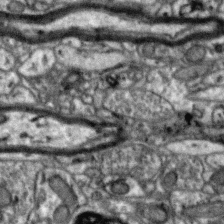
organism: Zebra finch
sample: Brain